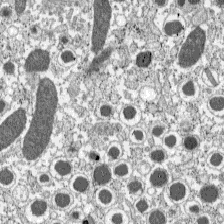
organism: C57BL Mouse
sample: Pancreatic islet